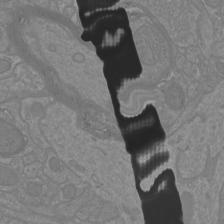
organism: Mouse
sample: Cortical neurons